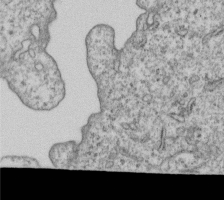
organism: Human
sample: MDA-MB-231 cells